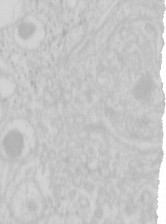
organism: Mouse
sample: Pancreas